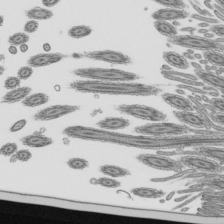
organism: Mouse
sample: Mouse epididymis efferent ductule cilia